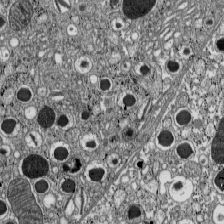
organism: C57BL Mouse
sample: Pancreatic islet